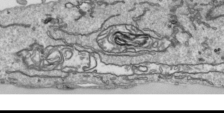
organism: Human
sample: Mitochondria in HCT116 cells